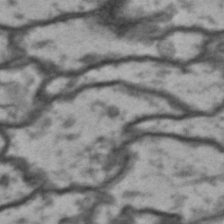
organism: Drosophila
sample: Brain